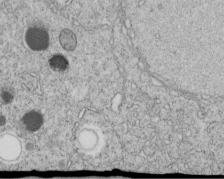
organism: C. elegans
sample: C. elegans embryo early stage